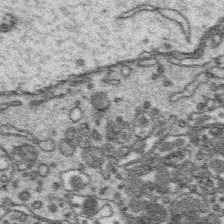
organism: Platynereis dumerilii